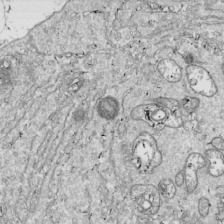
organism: Drosophila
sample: Cell division; meiosis; drosophila spermatocytes